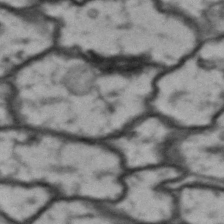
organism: Drosophila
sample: Brain